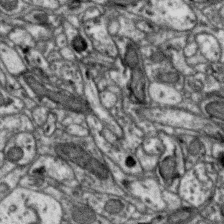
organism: Zebra finch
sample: Brain